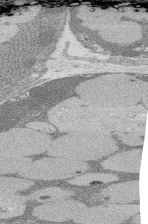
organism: Rat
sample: Salivary granule